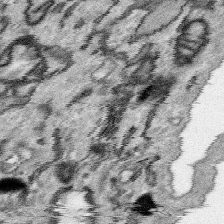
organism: Human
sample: HeLa cells